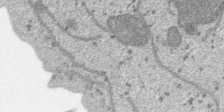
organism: Human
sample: Lung epithelial cells infected with SARS-CoV-2